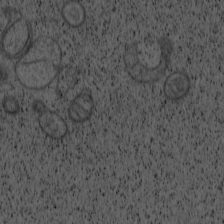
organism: African green monkey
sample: COS-7 cells